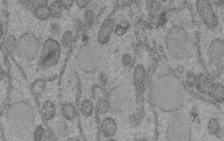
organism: C. elegans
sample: C. elegans embryo early stage